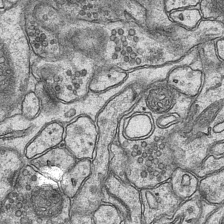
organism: Mouse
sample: CA1 Hippocampus